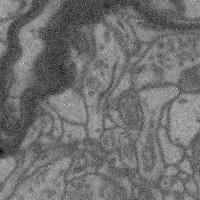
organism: Mouse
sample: Cerebral cortex